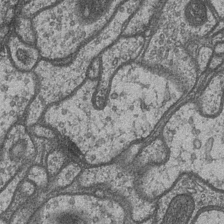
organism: Drosophila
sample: Optic medulla